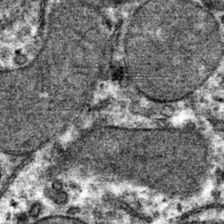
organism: Mouse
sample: Mouse hepatocytes